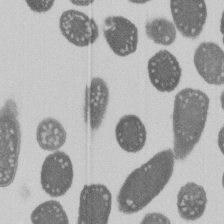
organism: E. coli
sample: Bacterial nucleoid